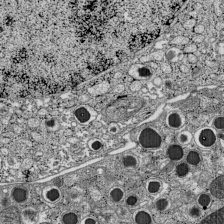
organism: C57BL Mouse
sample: Pancreatic islet